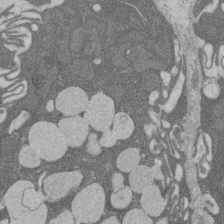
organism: Rat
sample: Salivary granule